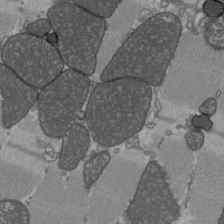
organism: C57BL Mouse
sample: Heart